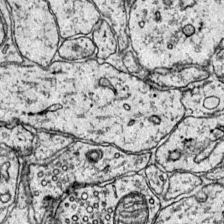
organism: Mouse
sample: Primary visual cortex